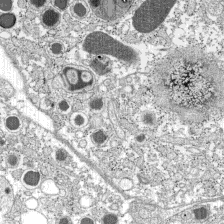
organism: C57BL Mouse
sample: Pancreatic islet